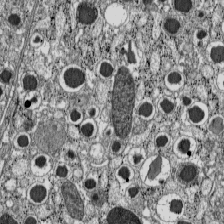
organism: C57BL Mouse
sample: Pancreatic islet